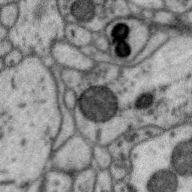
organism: Zebra finch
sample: Brain